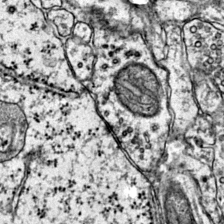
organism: Mouse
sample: Primary visual cortex